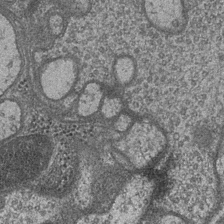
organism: Drosophila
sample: Optic medulla